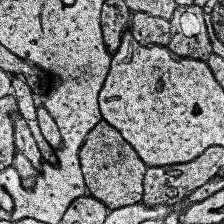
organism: Human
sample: Temporal Lobe